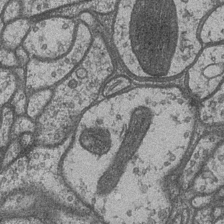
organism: Drosophila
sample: Optic medulla